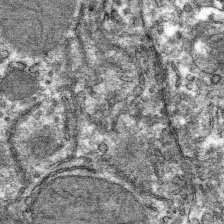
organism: Mouse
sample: Mouse hepatocytes